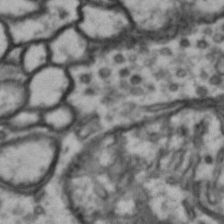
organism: Drosophila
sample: Brain